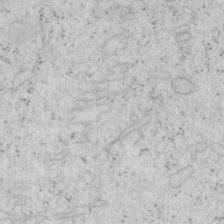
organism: Human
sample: HeLa cells